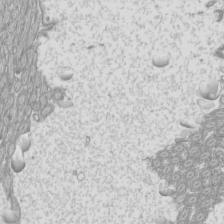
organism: Mouse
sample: Cilia; mouse epididymis